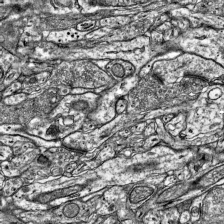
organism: Mouse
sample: Visual Cortex